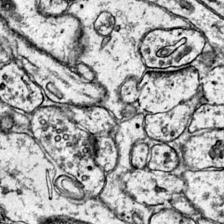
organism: Mouse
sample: Primary visual cortex